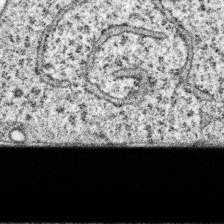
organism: Human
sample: HeLa cells